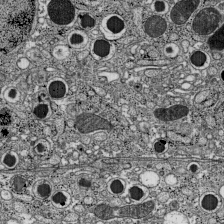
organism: C57BL Mouse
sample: Pancreatic islet